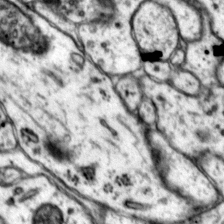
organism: Mouse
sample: Primary visual cortex